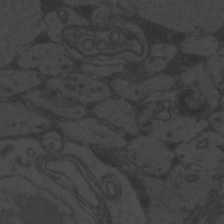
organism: Zebrafish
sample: Macrophage infected with Toxoplasma gondii